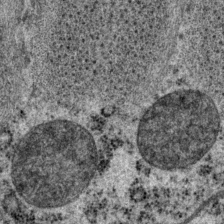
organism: P. pacificus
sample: Pharynx